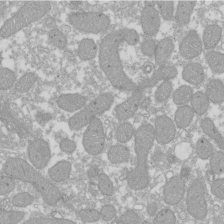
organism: Xenopus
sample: Cilia; centrioles in frog embryo cells